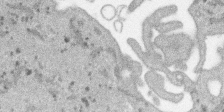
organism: Human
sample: Lung epithelial cells infected with SARS-CoV-2